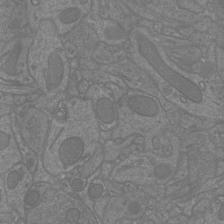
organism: Mouse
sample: Cortical neurons